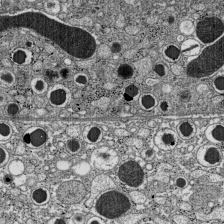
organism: C57BL Mouse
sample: Pancreatic islet